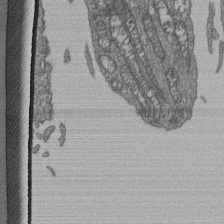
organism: Human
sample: Retinal organoid Rod and Cone cells